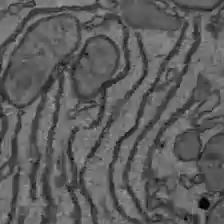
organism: C57BL Mouse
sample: Liver